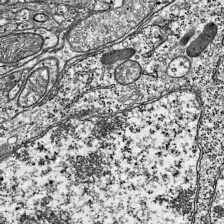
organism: Mouse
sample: Visual Cortex